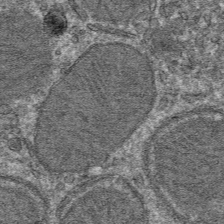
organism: Mouse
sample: Mouse hepatocytes